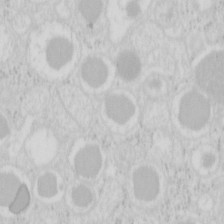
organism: Mouse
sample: Pancreas